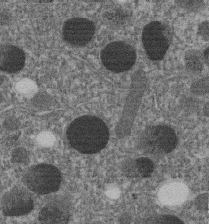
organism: C. elegans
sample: C. elegans embryo early stage